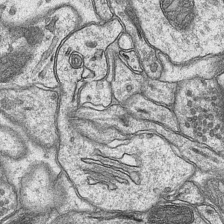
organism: Mouse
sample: CA1 Hippocampus